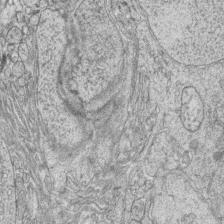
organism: Zebrafish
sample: synaptic ribbons in rod cells and cone cells